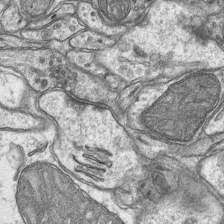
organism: Mouse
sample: CA1 Hippocampus